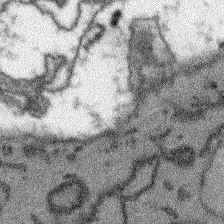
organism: Arabidopsis thaliana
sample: Root tip